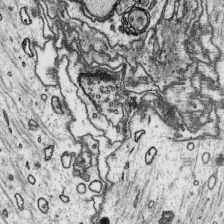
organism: Platynereis dumerilii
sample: Parapodia